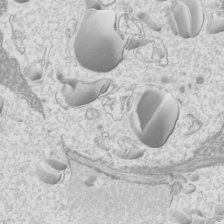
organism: Mouse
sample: Cilia; mouse epididymis